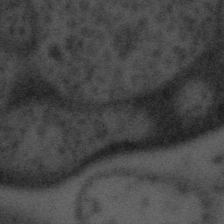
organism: Tuwongella immobilis